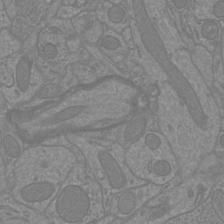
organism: Mouse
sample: Cortical neurons